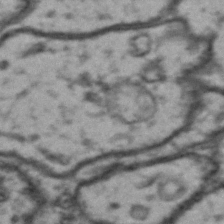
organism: Drosophila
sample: Brain